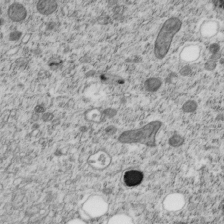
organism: C. elegans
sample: C. elegans embryo early stage